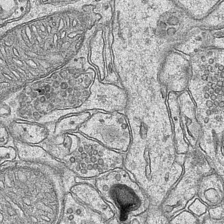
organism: Mouse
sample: CA1 Hippocampus